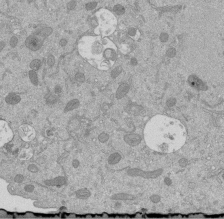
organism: Mouse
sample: ED-1 cell nuclei; centrioles